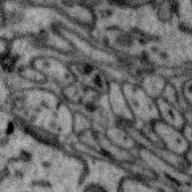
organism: Zebra finch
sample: Brain